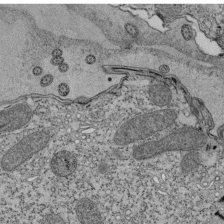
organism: Tetrahymena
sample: Cilia in tetrahymena